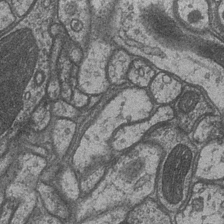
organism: Drosophila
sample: Optic medulla